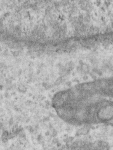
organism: Human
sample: Centriole in RPE cells